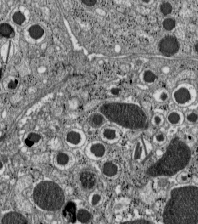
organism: C57BL Mouse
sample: Pancreatic islet